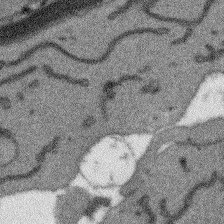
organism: Arabidopsis thaliana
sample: Root tip